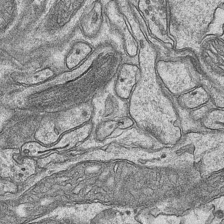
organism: Mouse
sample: CA1 Hippocampus